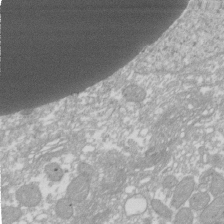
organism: Xenopus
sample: Cilia; centrioles in frog embryo cells